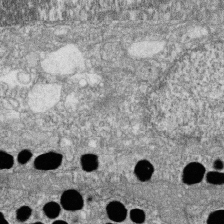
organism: Zebrafish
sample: Cilia; retinal pigment epithelium